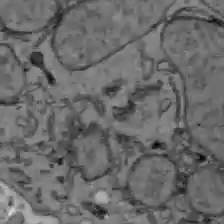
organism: C57BL Mouse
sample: Liver